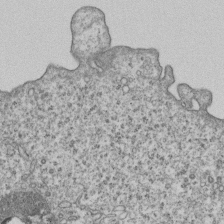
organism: Human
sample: MDA-MB-231 cells